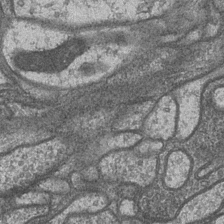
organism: Drosophila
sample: Optic medulla